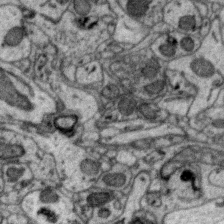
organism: Zebra finch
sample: Brain